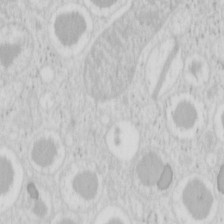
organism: Mouse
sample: Pancreas